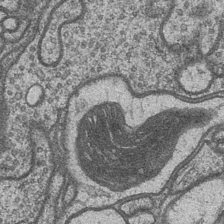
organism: Drosophila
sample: Optic medulla